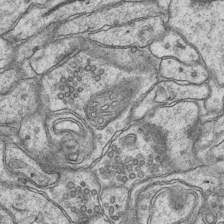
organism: Mouse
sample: CA1 Hippocampus